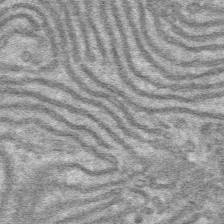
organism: Mouse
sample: Mouse hepatocytes